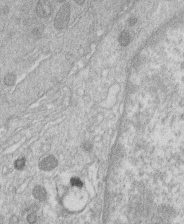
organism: Human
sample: Macrophage cells